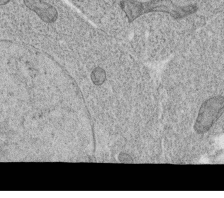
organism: C. elegans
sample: C. elegans oocyte; sperm cells